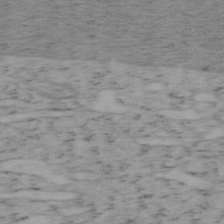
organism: Mouse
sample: OT-I killer T cells with ID8 ovarian cancer cells